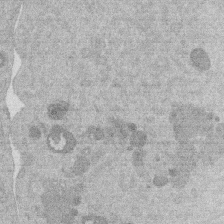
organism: Mouse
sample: Dividing mouse embryo 1 cell stage